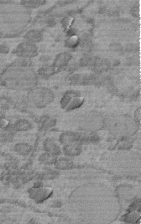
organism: C. elegans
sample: C. elegans embryo early stage